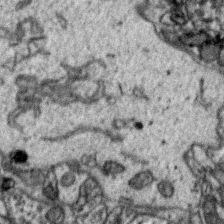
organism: Zebra finch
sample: Brain